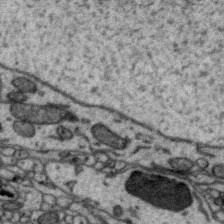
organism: Zebra finch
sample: Brain